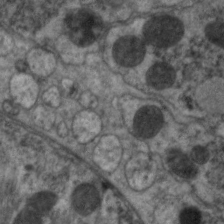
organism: C. elegans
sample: Pharynx